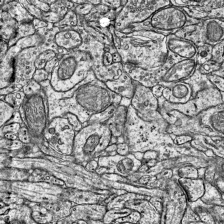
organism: Mouse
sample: Visual Cortex